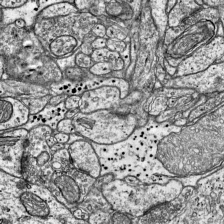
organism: Mouse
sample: Visual Cortex